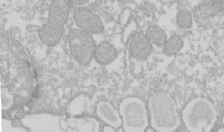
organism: Xenopus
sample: Cilia; centrioles in frog embryo cells